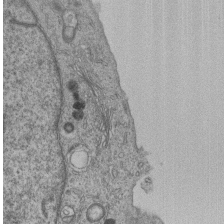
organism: Human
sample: MDA-MB-231 cells